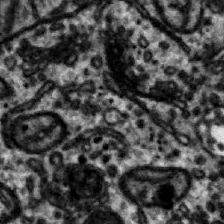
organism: Human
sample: HeLa cells